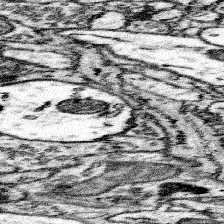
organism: Mouse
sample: Somatosensory cortex neuropil